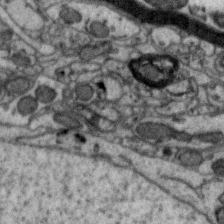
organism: Zebra finch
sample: Brain